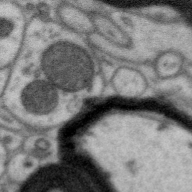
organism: Zebra finch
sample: Brain